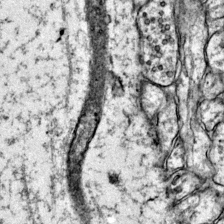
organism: Mouse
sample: Primary visual cortex